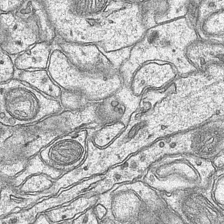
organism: Mouse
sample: CA1 Hippocampus